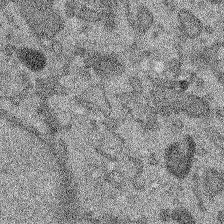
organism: Human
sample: HeLa cells